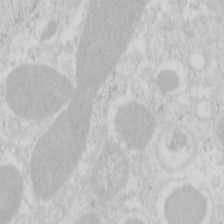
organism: Mouse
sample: Pancreas